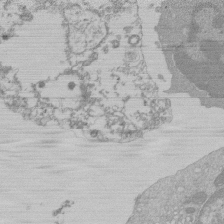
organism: Mouse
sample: Activated Pmel transgenic CD8+ T Cells